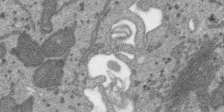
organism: Human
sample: Lung epithelial cells infected with SARS-CoV-2